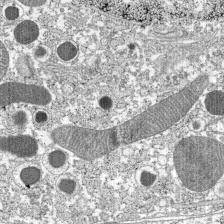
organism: C57BL Mouse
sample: Pancreatic islet